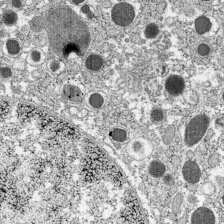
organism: C57BL Mouse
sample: Pancreatic islet